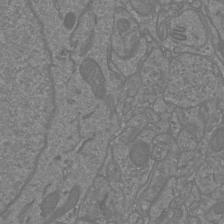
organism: Mouse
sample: Cortical neurons